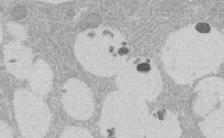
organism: Rat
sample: Salivary granule